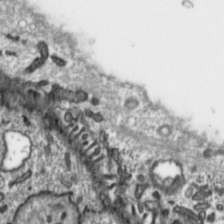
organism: Toxoplasma gondii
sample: Parasites in a vacuole inside a host cell